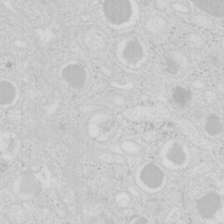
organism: Mouse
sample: Pancreas